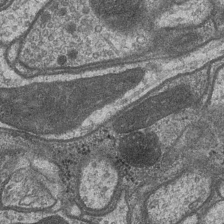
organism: Drosophila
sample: Optic medulla